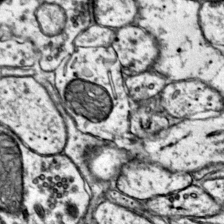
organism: Mouse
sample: Primary visual cortex